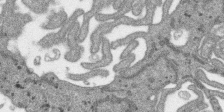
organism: Human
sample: Lung epithelial cells infected with SARS-CoV-2